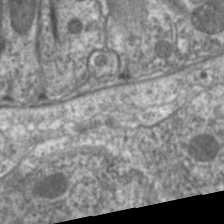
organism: C. elegans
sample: Pharynx